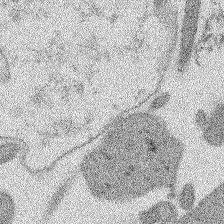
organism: Human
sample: HeLa cells